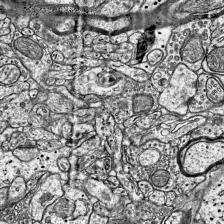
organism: Mouse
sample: Visual Cortex